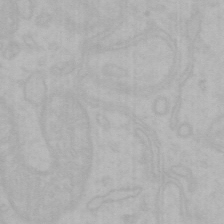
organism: Mouse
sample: Choroid plexus